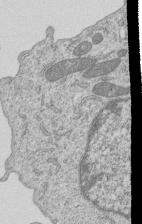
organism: Human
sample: MDA-MB-231 cells